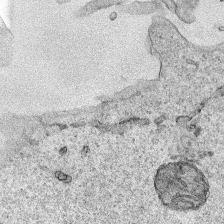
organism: Human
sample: Mitochondria in HCT116 cells